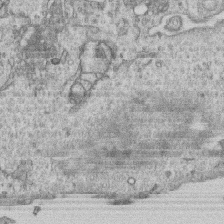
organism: Human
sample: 1205lu cells